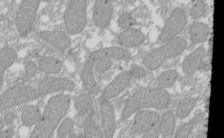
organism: Xenopus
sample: Cilia; centrioles in frog embryo cells